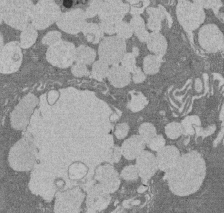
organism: Rat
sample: Salivary granule